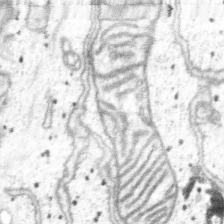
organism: Human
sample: HeLa cells